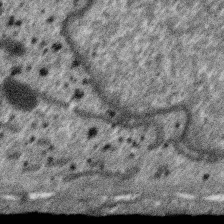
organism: Human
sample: Lung epithelial cells infected with SARS-CoV-2